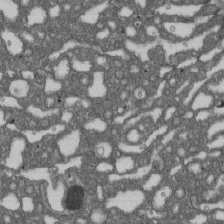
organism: Drosophila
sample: Nephrocyte